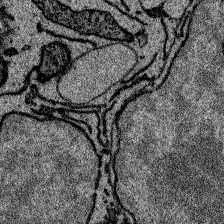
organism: Zebrafish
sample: Larval olfactory bulb